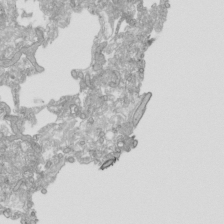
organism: Human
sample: Mitochondria in HCT116 cells